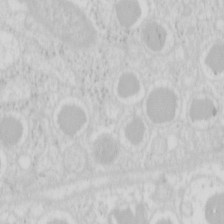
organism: Mouse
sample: Pancreas